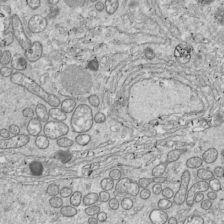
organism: Drosophila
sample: Cell division; meiosis; drosophila spermatocytes